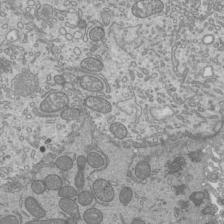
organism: Mouse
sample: Cilia; mouse epididymis